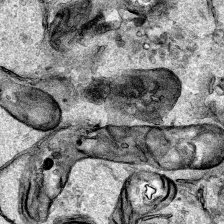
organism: Human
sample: Mitochondria in HCT116 cells